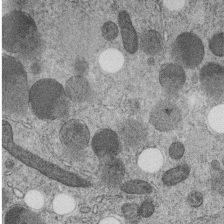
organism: C. elegans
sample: C. elegans embryo early stage